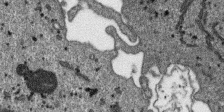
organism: Human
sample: Lung epithelial cells infected with SARS-CoV-2